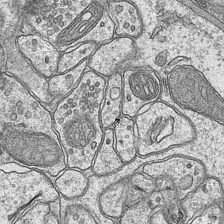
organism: Mouse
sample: CA1 Hippocampus